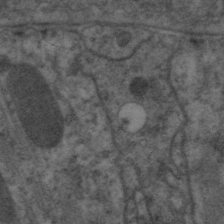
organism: C. elegans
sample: Pharynx